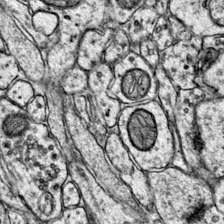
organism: Mouse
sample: Primary visual cortex